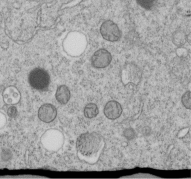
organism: C. elegans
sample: C. elegans embryo early stage